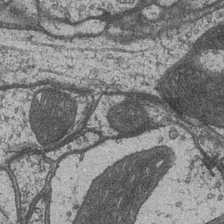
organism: Drosophila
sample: Optic medulla